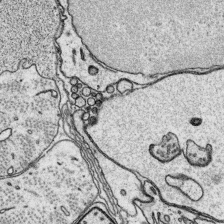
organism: Platynereis dumerilii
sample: Parapodia